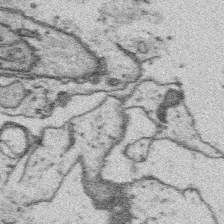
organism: Platynereis dumerilii